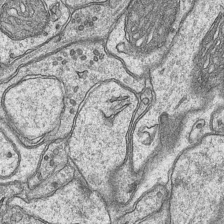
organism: Mouse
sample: CA1 Hippocampus